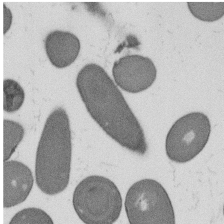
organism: B. subtilis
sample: Bacterial spore